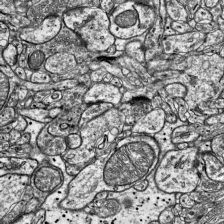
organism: Mouse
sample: Visual Cortex